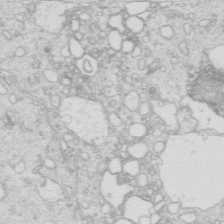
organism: Mouse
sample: Multiciliated cells